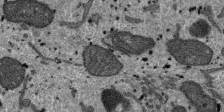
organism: Human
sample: Lung epithelial cells, uninfected (mock) control